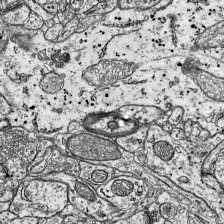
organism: Mouse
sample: Visual Cortex